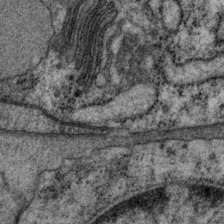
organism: P. pacificus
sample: Pharynx